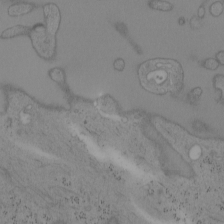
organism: Mouse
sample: OT-I killer T cells with ID8 ovarian cancer cells